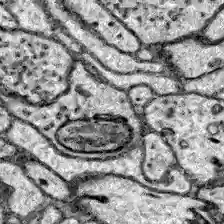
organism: Zebrafish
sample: Brain